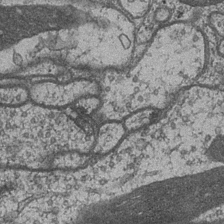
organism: Drosophila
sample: Optic medulla